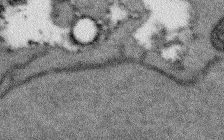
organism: Arabidopsis thaliana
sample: Root tip